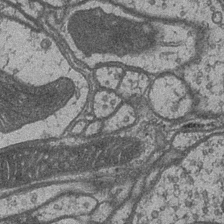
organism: Drosophila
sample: Optic medulla